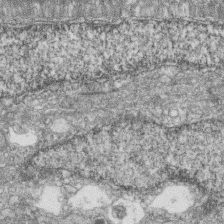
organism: Zebrafish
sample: Cilia; retinal pigment epithelium